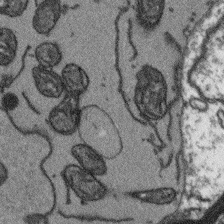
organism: Arabidopsis thaliana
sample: Root tip